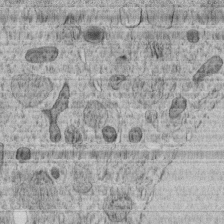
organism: C. elegans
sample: C. elegans embryo early stage